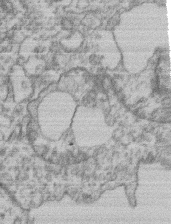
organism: Mouse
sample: T cell stromal cell synapse